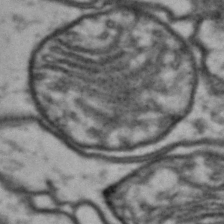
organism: Drosophila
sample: Brain